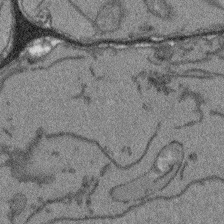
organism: Arabidopsis thaliana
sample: Root tip